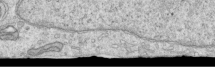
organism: Human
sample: Centriole in RPE cells